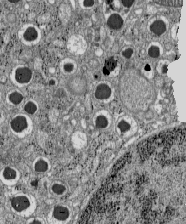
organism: C57BL Mouse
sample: Pancreatic islet